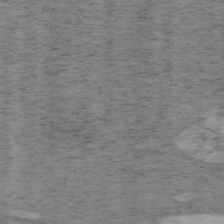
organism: Mouse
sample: OT-I killer T cells with ID8 ovarian cancer cells